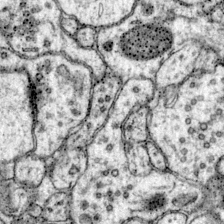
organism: Mouse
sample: Primary visual cortex